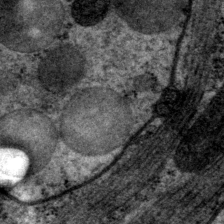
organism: P. pacificus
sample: Pharynx